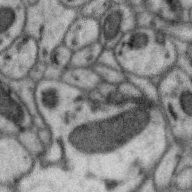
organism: Zebra finch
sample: Brain